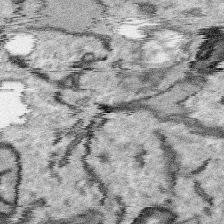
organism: Human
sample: HeLa cells